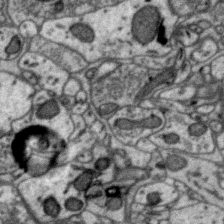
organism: Zebra finch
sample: Brain